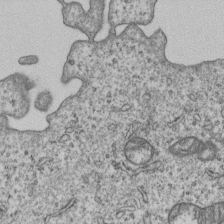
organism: Human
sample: MDA-MB-231 cells